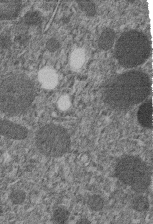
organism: C. elegans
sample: C. elegans embryo early stage